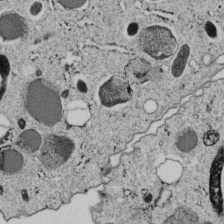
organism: C. elegans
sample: C. elegans embryo early stage